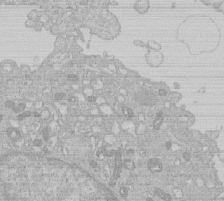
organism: Human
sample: Macrophage cells